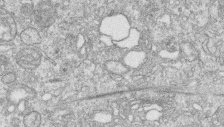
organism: Human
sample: HeLa cell HIV synapse